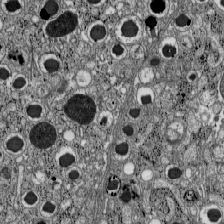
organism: C57BL Mouse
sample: Pancreatic islet